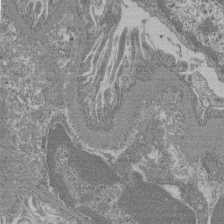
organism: Mouse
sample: Glomerulus